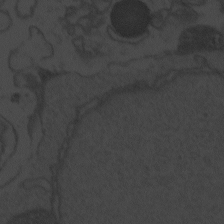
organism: Zebrafish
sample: Macrophage infected with Toxoplasma gondii